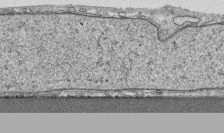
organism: Human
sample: CRL-1474